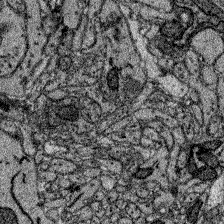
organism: Zebrafish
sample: Larval olfactory bulb